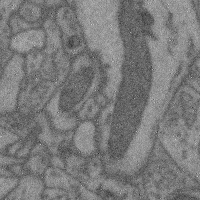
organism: Mouse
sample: Cerebral cortex